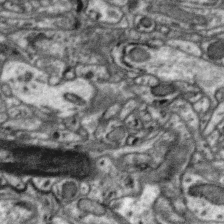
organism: Zebra finch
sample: Brain